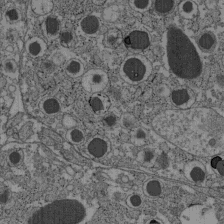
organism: C57BL Mouse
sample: Pancreatic islet